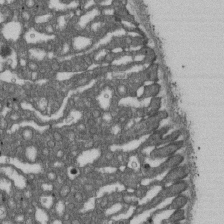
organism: Drosophila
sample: Nephrocyte